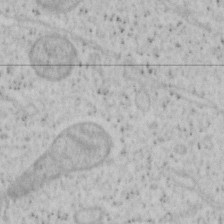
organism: Human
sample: HeLa cells